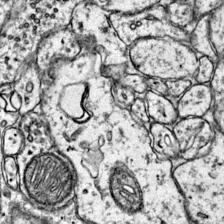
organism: Mouse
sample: Primary visual cortex